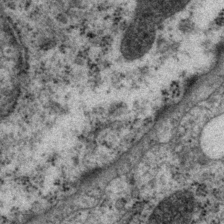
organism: P. pacificus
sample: Pharynx